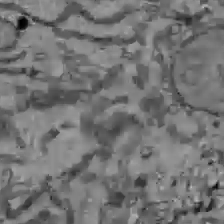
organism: C57BL Mouse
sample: Liver